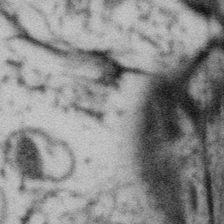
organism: Gemmata obscuriglobus